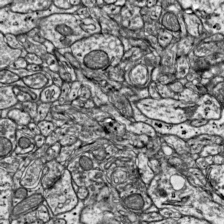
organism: Mouse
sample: Visual Cortex